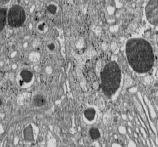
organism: C57BL Mouse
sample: Pancreatic islet